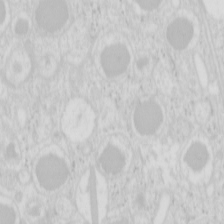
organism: Mouse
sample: Pancreas